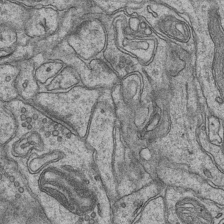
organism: Mouse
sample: CA1 Hippocampus